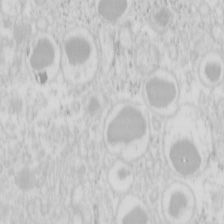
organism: Mouse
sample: Pancreas